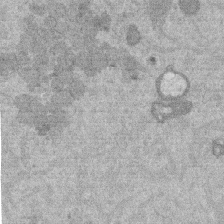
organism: Mouse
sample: Dividing mouse embryo 1 cell stage